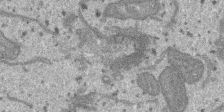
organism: Human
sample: Lung epithelial cells infected with SARS-CoV-2